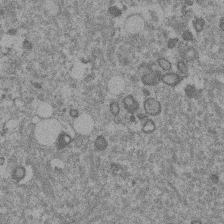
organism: Mouse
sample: Dividing mouse embryo 1 cell stage